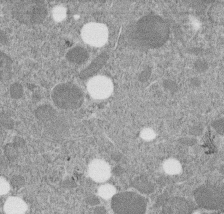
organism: C. elegans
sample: C. elegans embryo early stage